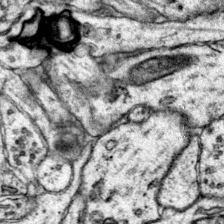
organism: Mouse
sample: Primary visual cortex